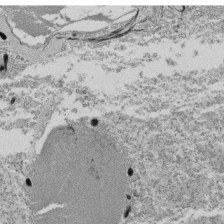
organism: Tetrahymena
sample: Cilia in tetrahymena